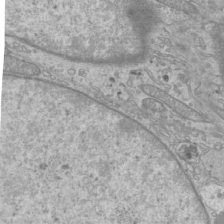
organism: Mouse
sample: Cilia; mouse epididymis